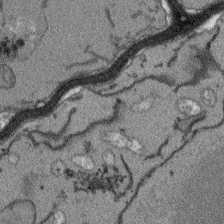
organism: Arabidopsis thaliana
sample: Root tip